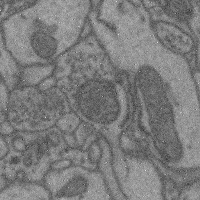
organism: Mouse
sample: Cerebral cortex